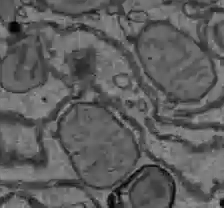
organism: C57BL Mouse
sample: Liver